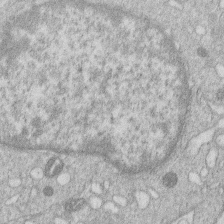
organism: Human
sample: Macrophage cells